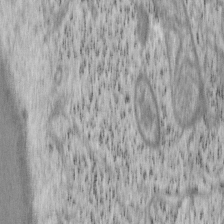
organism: Human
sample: HeLa cells